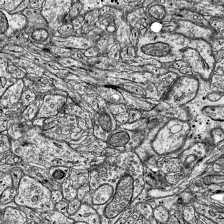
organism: Mouse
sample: Visual Cortex